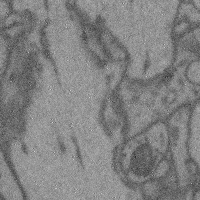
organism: Mouse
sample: Cerebral cortex